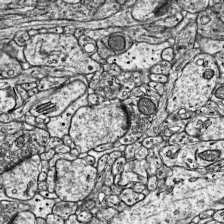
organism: Mouse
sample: Visual Cortex